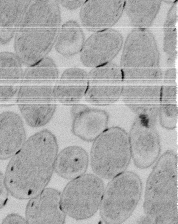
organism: E. coli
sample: Bacterial nucleoid